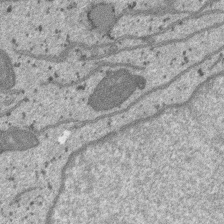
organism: Human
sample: Lung epithelial cells infected with SARS-CoV-2